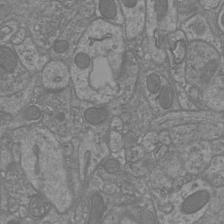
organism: Mouse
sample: Cortical neurons